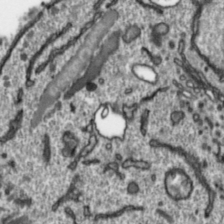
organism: Toxoplasma gondii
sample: Parasites in a vacuole inside a host cell